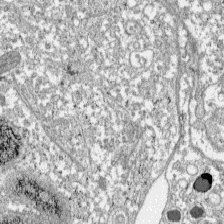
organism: C57BL Mouse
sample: Pancreatic islet